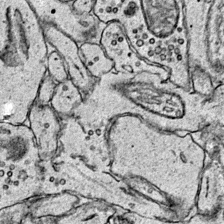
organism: Mouse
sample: Primary visual cortex